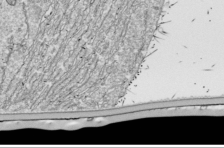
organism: Drosophila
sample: Cell division; meiosis; drosophila spermatocytes